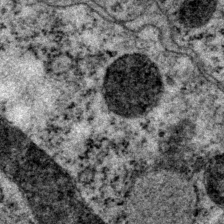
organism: P. pacificus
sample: Pharynx